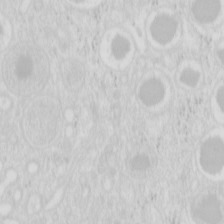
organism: Mouse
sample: Pancreas